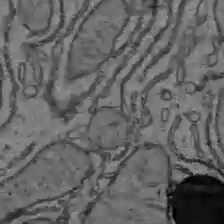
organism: C57BL Mouse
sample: Liver